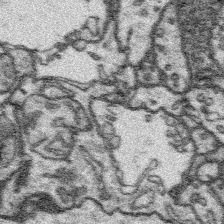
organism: Platynereis dumerilii